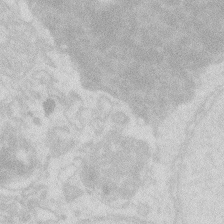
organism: Zebrafish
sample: Macrophage